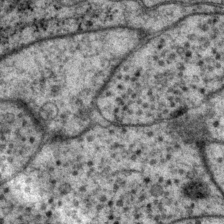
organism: P. pacificus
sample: Pharynx